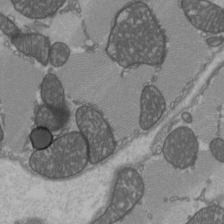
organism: C57BL Mouse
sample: Heart